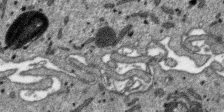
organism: Human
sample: Lung epithelial cells, uninfected (mock) control